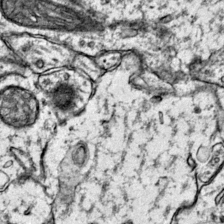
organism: Mouse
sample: Primary visual cortex